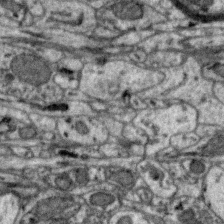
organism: Zebra finch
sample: Brain